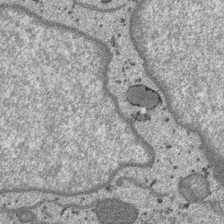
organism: Human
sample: Lung epithelial cells infected with SARS-CoV-2